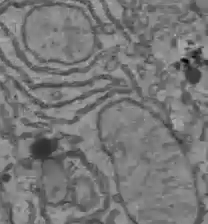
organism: C57BL Mouse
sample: Liver